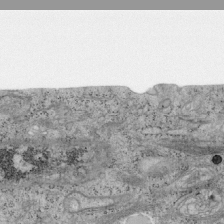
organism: Human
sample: HeLa cells